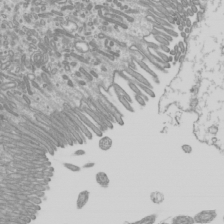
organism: Mouse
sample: Cilia; mouse epididymis